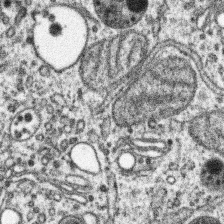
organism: Human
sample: HeLa cells